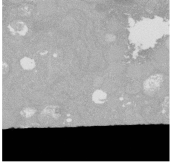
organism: C. elegans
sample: C. elegans oocyte; sperm cells